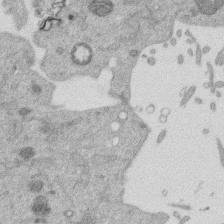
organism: Mouse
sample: Dividing mouse embryo 1 cell stage